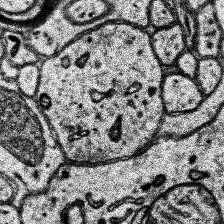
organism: Human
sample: Temporal Lobe